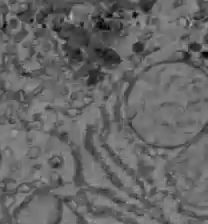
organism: C57BL Mouse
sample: Liver